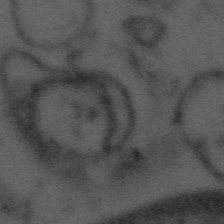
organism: Tuwongella immobilis